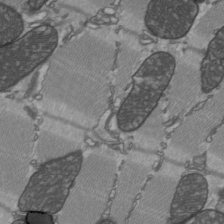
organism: C57BL Mouse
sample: Heart